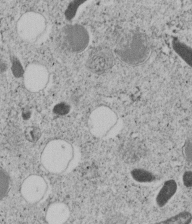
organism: C. elegans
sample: C. elegans embryo early stage